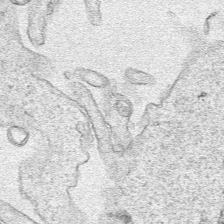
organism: Human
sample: Mitochondria in HCT116 cells